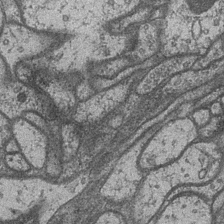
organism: Drosophila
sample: Optic medulla